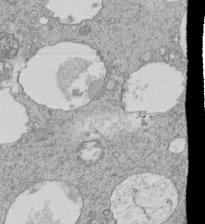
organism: Tetrahymena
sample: Cilia in tetrahymena